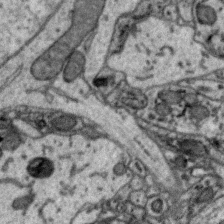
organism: Zebra finch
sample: Brain